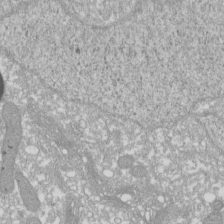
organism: Xenopus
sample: Cilia; centrioles in frog embryo cells